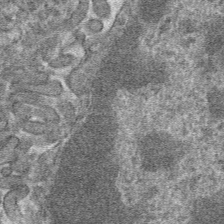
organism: Mouse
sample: Mouse hepatocytes